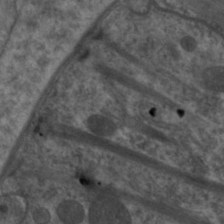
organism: C. elegans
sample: Pharynx